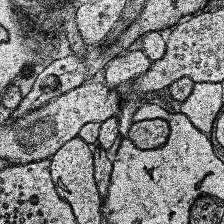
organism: Human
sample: Temporal Lobe